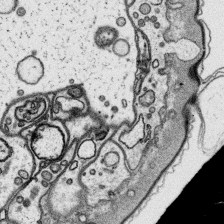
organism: Platynereis dumerilii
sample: Parapodia